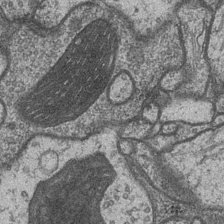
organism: Drosophila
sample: Optic medulla